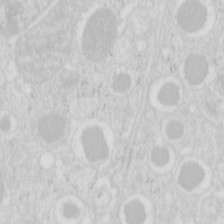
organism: Mouse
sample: Pancreas